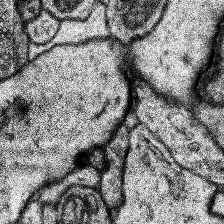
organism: Human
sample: Temporal Lobe